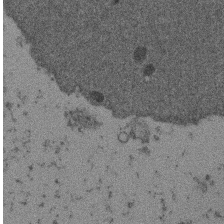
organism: Mouse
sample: Dividing mouse embryo 1 cell stage